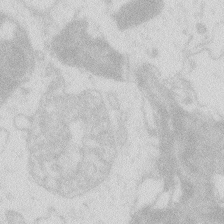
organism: Zebrafish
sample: Macrophage